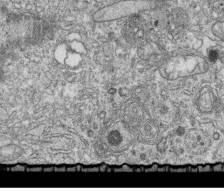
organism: Human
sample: HeLa cell HIV synapse